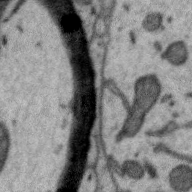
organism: Zebra finch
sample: Brain